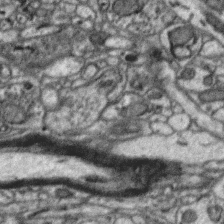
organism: Zebra finch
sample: Brain